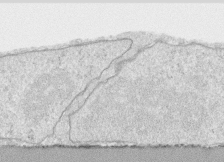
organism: Human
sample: CRL-1474